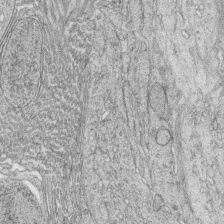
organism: Zebrafish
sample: synaptic ribbons in rod cells and cone cells